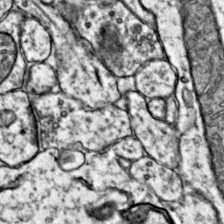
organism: Mouse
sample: Primary visual cortex